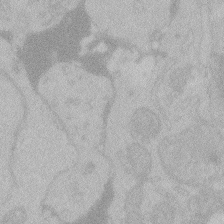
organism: Zebrafish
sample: Macrophage infected with Toxoplasma gondii